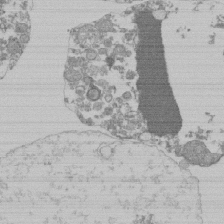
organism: Mouse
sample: Activated Pmel transgenic CD8+ T Cells